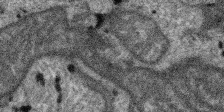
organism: Human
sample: Lung epithelial cells infected with SARS-CoV-2